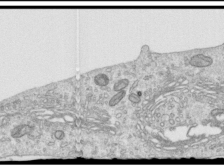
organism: Human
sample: Centriole in RPE cells